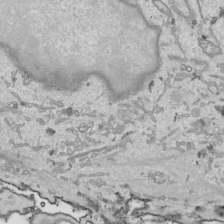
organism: Human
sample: Mitochondria in HCT116 cells